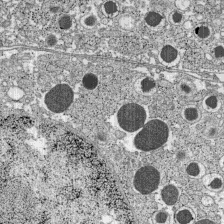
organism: C57BL Mouse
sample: Pancreatic islet